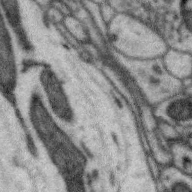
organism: Zebra finch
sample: Brain